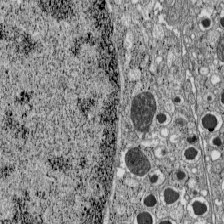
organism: C57BL Mouse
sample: Pancreatic islet